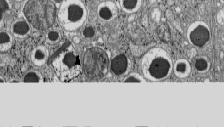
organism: C57BL Mouse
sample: Pancreatic islet